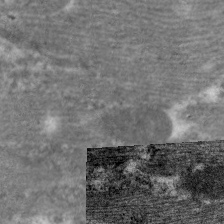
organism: C. elegans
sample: Pharynx